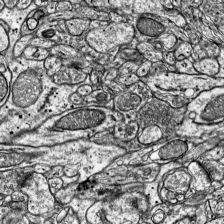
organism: Mouse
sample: Visual Cortex